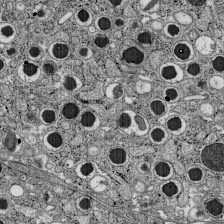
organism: C57BL Mouse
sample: Pancreatic islet